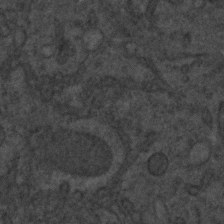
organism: C. elegans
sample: C. elegans embryo